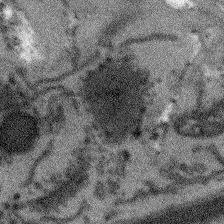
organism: Arabidopsis thaliana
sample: Root tip